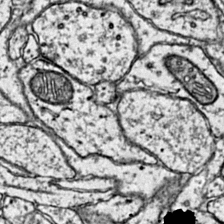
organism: Mouse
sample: Primary visual cortex